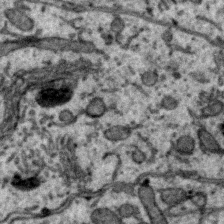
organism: Zebra finch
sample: Brain